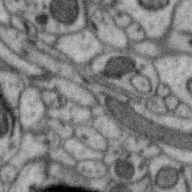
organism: Zebra finch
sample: Brain